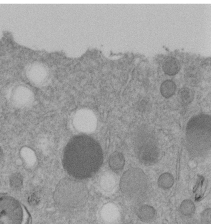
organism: C. elegans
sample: C. elegans embryo early stage